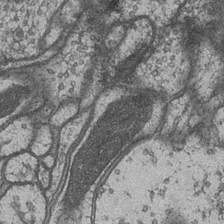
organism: Drosophila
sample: Optic medulla